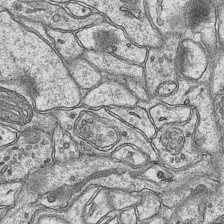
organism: Mouse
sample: CA1 Hippocampus